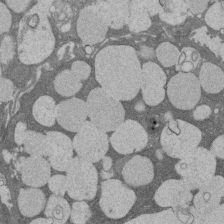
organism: Rat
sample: Salivary granule